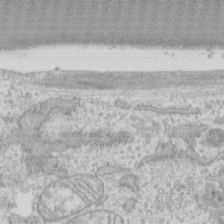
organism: Human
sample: CRL-1474